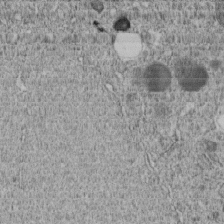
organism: C. elegans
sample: C. elegans embryo early stage